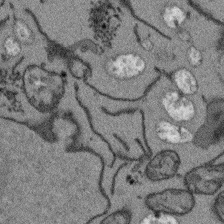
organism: Arabidopsis thaliana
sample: Root tip